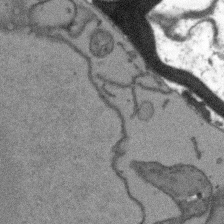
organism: Arabidopsis thaliana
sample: Root tip